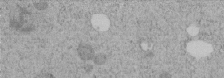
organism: C. elegans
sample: C. elegans embryo early stage